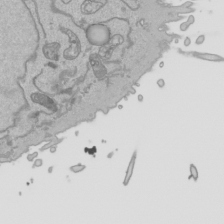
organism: Human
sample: Mitochondria in HCT116 cells